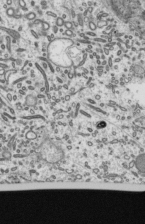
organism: Mouse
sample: Mouse epididymis efferent ductule cilia